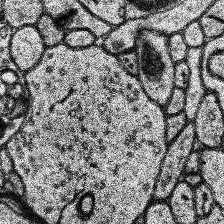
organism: Human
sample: Temporal Lobe